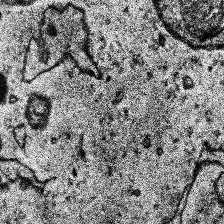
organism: Human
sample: Temporal Lobe